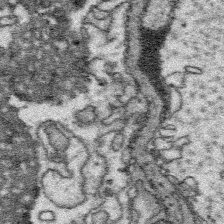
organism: Platynereis dumerilii